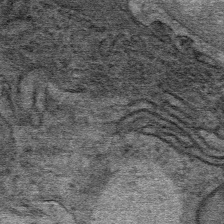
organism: Mouse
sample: Mouse Salivary gland